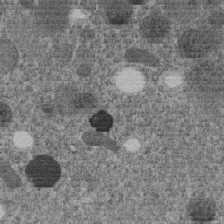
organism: C. elegans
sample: C. elegans embryo early stage